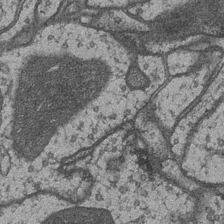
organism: Drosophila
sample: Optic medulla